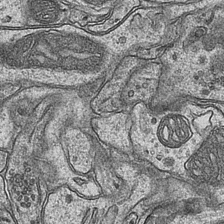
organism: Mouse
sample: CA1 Hippocampus